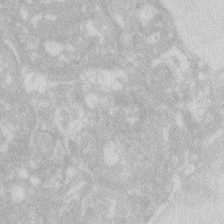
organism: Zebrafish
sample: Macrophage